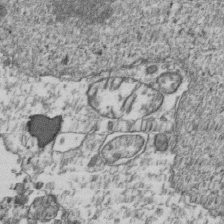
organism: Human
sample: Activated Jurkat CD4+ T cells